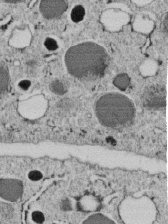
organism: C. elegans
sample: C. elegans embryo early stage